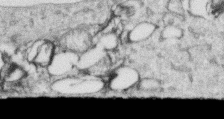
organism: Human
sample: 1205lu cells